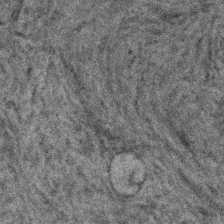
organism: Human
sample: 1205lu cells